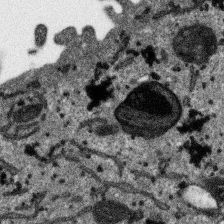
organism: Human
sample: Lung epithelial cells infected with SARS-CoV-2